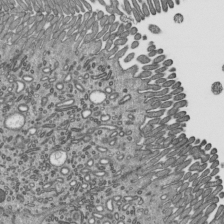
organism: Mouse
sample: Mouse epididymis efferent ductule cilia